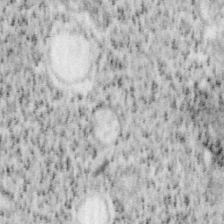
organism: Mouse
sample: OT-I killer T cells with ID8 ovarian cancer cells